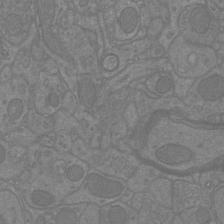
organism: Mouse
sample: Cortical neurons